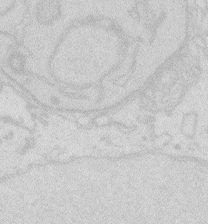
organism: Zebrafish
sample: Macrophage